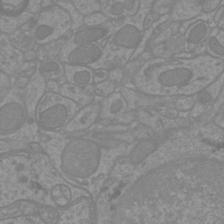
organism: Mouse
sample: Cortical neurons